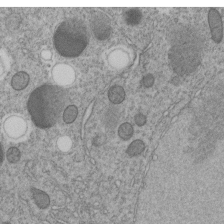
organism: C. elegans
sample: C. elegans embryo early stage